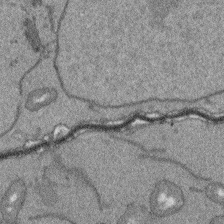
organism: Arabidopsis thaliana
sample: Root tip